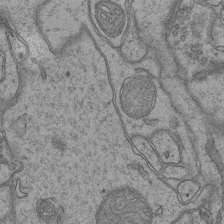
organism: Mouse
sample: CA1 Hippocampus